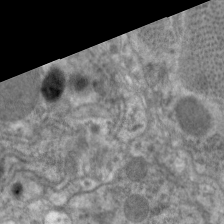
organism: C. elegans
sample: Pharynx